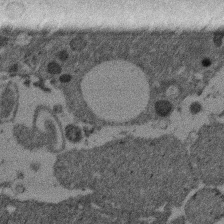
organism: Mouse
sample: Dividing mouse embryo 1 cell stage